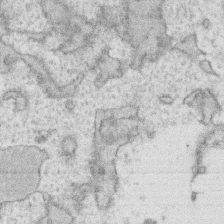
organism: Human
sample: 1205lu cells